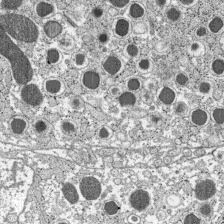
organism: C57BL Mouse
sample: Pancreatic islet